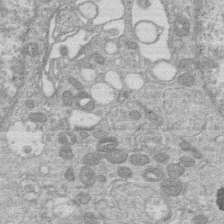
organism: Human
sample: Macrophage cells